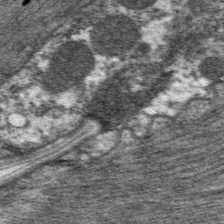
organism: C. elegans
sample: Pharynx